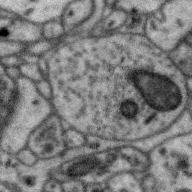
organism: Zebra finch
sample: Brain